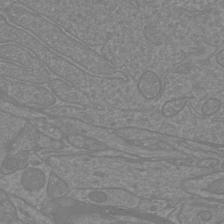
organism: Mouse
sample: Cortical neurons